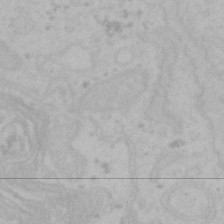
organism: Mouse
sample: Choroid plexus